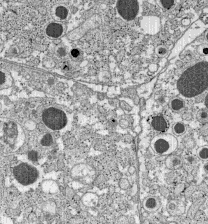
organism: C57BL Mouse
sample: Pancreatic islet